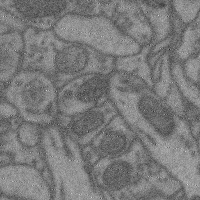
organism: Mouse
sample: Cerebral cortex